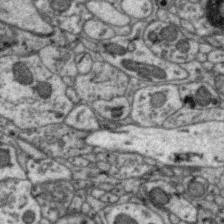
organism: Zebra finch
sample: Brain